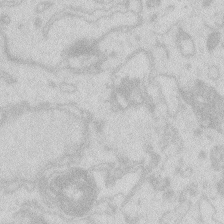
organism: Zebrafish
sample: Macrophage